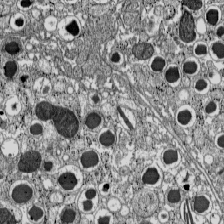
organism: C57BL Mouse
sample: Pancreatic islet